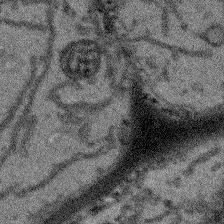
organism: Arabidopsis thaliana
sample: Root tip